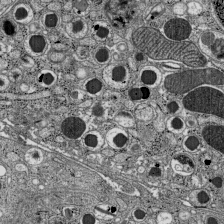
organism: C57BL Mouse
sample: Pancreatic islet